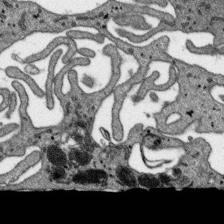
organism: Human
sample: Lung epithelial cells, uninfected (mock) control